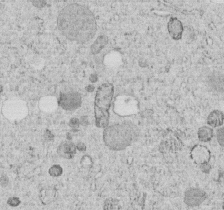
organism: C. elegans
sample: C. elegans embryo early stage